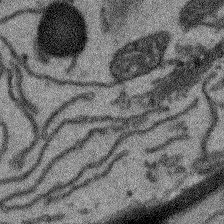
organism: Arabidopsis thaliana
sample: Root tip